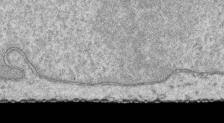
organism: Human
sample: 1205lu cells